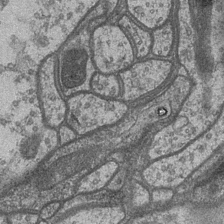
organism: Drosophila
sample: Optic medulla